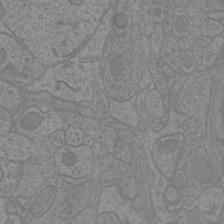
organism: Mouse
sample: Cortical neurons